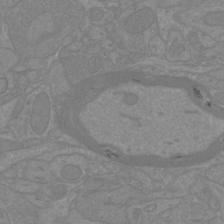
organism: Mouse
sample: Cortical neurons